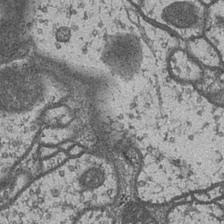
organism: Drosophila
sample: Optic medulla